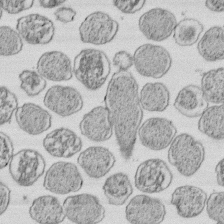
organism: E. coli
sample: Bacterial nucleoid